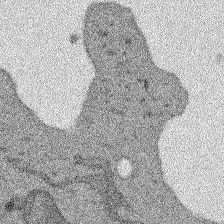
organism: Human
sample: HeLa cells